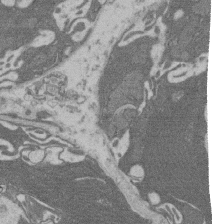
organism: Rat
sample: Salivary granule